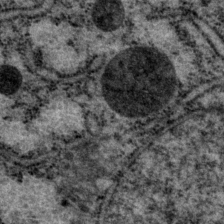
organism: P. pacificus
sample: Pharynx